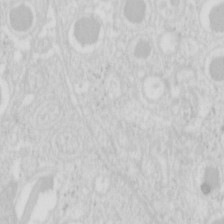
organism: Mouse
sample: Pancreas